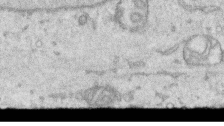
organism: Human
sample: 1205lu cells